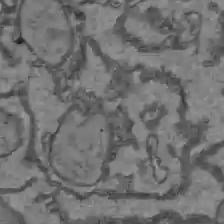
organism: C57BL Mouse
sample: Liver